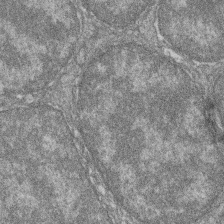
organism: Zebrafish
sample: Cilia; retinal pigment epithelium